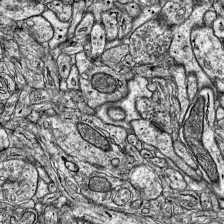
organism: Mouse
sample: Visual Cortex